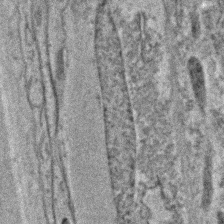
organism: C. elegans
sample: C. elegans embryo